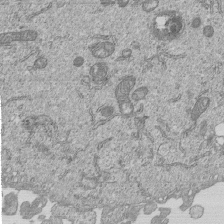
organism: Human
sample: MDA-MB-231 cells